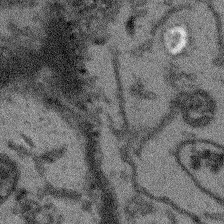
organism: Arabidopsis thaliana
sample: Root tip